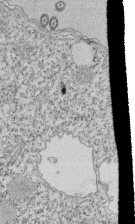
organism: Tetrahymena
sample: Cilia in tetrahymena